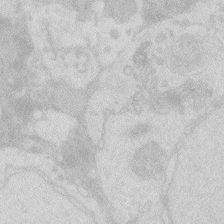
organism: Zebrafish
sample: Macrophage